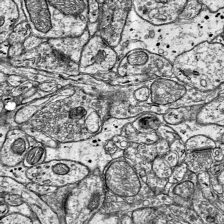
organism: Mouse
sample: Visual Cortex